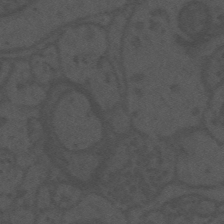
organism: Mouse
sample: Suprachiasmatic nucleus